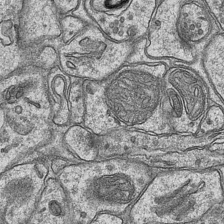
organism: Mouse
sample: CA1 Hippocampus